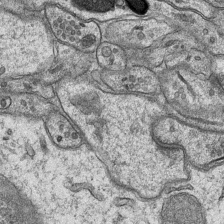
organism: Mouse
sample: CA1 Hippocampus